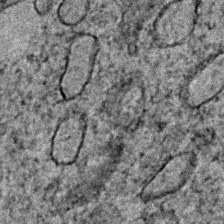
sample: Trachea